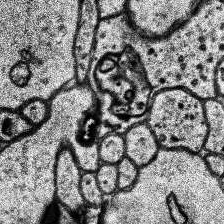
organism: Human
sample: Temporal Lobe